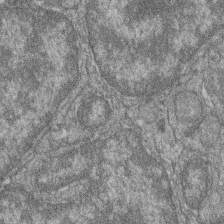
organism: Zebrafish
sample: Cilia; retinal pigment epithelium